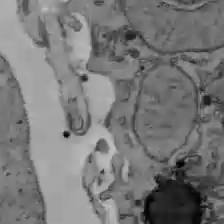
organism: C57BL Mouse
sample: Liver